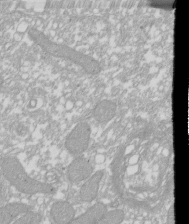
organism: Xenopus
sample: Cilia; centrioles in frog embryo cells